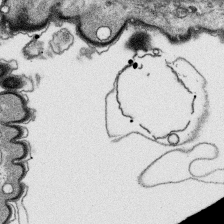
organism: Platynereis dumerilii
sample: Parapodia